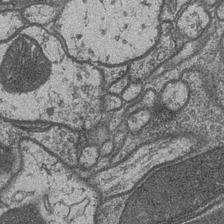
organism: Drosophila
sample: Optic medulla